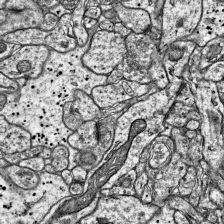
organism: Mouse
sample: Visual Cortex